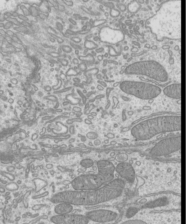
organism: Mouse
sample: Cilia; mouse epididymis